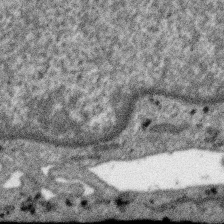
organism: Human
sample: Lung epithelial cells infected with SARS-CoV-2